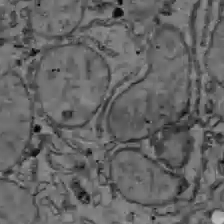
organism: C57BL Mouse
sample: Liver